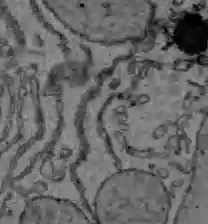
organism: C57BL Mouse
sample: Liver